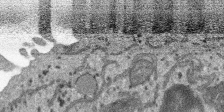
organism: Human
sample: Lung epithelial cells infected with SARS-CoV-2